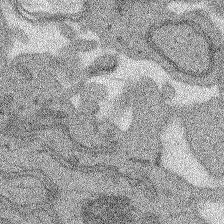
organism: Human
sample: HeLa cells